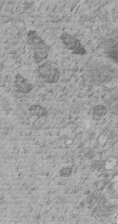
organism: C. elegans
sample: C. elegans embryo early stage